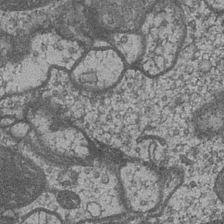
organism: Drosophila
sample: Optic medulla